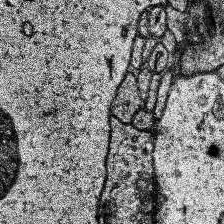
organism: Human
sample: Temporal Lobe